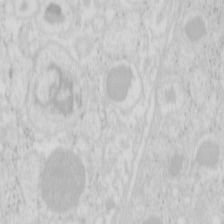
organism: Mouse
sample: Pancreas